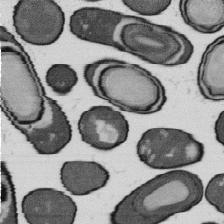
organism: B. subtilis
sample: Bacterial spore